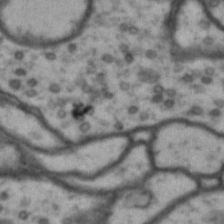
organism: Drosophila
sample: Brain